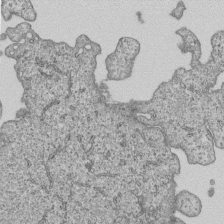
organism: Human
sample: MDA-MB-231 cells